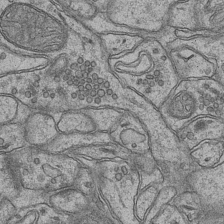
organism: Mouse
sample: CA1 Hippocampus